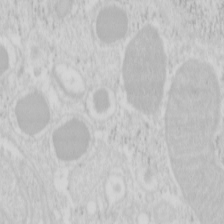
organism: Mouse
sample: Pancreas